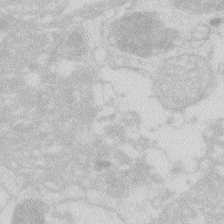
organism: Zebrafish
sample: Macrophage